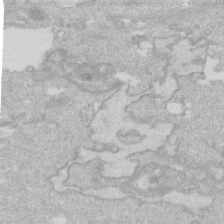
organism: Human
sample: Fibroblast cells